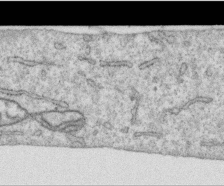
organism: Human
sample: Centriole in RPE cells